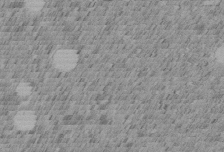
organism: C. elegans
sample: C. elegans embryo early stage